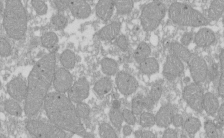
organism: Xenopus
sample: Cilia; centrioles in frog embryo cells